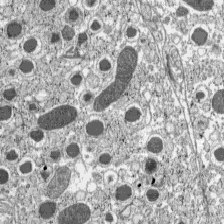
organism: C57BL Mouse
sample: Pancreatic islet